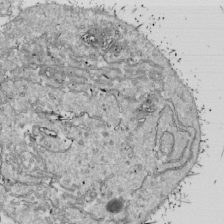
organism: Drosophila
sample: Cell division; meiosis; drosophila spermatocytes